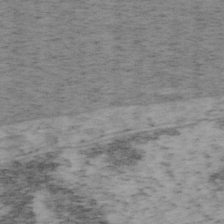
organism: Mouse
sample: OT-I killer T cells with ID8 ovarian cancer cells